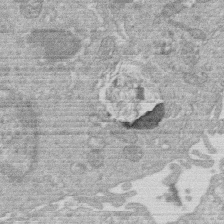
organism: Human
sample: Macrophage cells